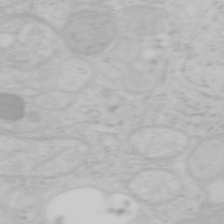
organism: Mouse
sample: OT-I killer T cells with ID8 ovarian cancer cells